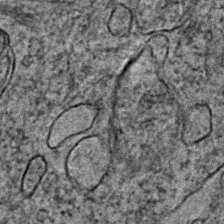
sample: Trachea